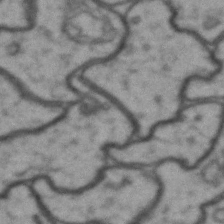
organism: Drosophila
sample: Brain